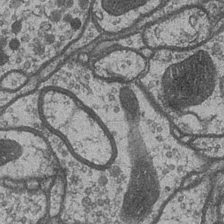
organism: Drosophila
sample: Optic medulla